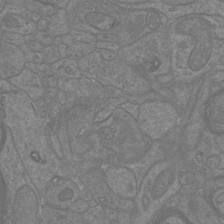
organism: Mouse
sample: Cortical neurons